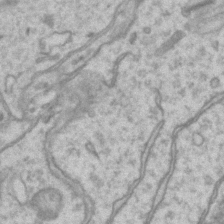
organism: Mouse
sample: CA1 Hippocampus